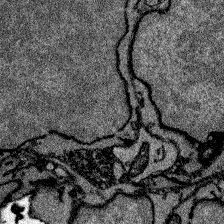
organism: Zebrafish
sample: Larval olfactory bulb